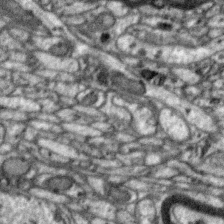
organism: Zebra finch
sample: Brain